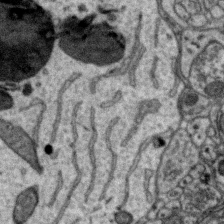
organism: Zebra finch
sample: Brain